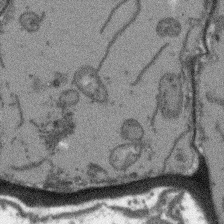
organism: Arabidopsis thaliana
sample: Root tip